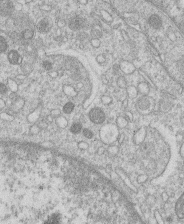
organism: Human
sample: Macrophage cells